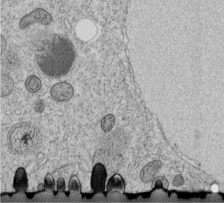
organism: C. elegans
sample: C. elegans embryo early stage